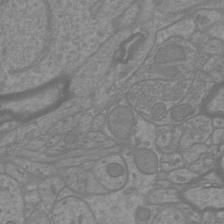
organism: Mouse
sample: Cortical neurons